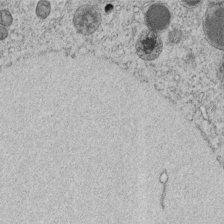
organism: C. elegans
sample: C. elegans embryo early stage